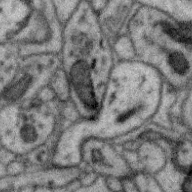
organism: Zebra finch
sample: Brain